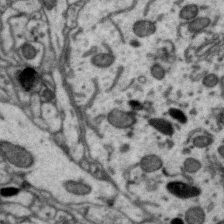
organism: Zebra finch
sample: Brain